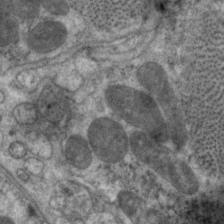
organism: C. elegans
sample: Pharynx